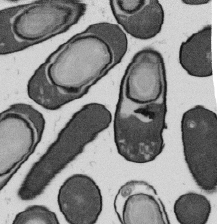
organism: B. subtilis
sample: Bacterial spore